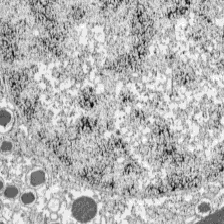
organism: C57BL Mouse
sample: Pancreatic islet